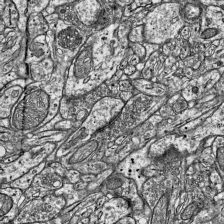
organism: Mouse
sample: Visual Cortex